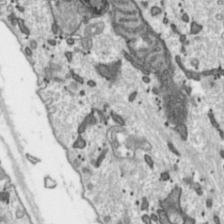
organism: Toxoplasma gondii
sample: Parasites in a vacuole inside a host cell